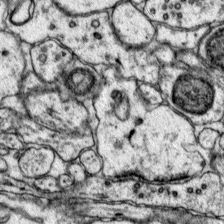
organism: Mouse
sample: Primary visual cortex